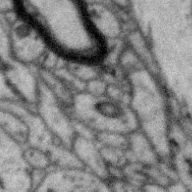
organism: Zebra finch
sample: Brain